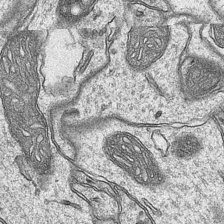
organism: Mouse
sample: CA1 Hippocampus